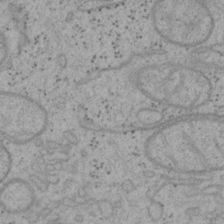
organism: Human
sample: HeLa cells